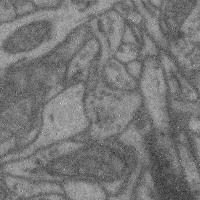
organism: Mouse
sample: Cerebral cortex